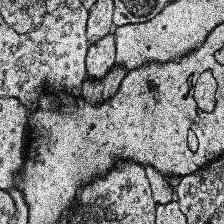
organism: Human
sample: Temporal Lobe